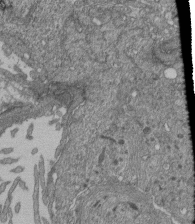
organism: Human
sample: Retinal organoid Rod and Cone cells